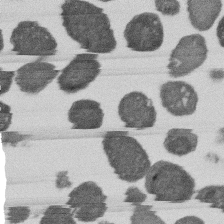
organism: E. coli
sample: Bacterial nucleoid